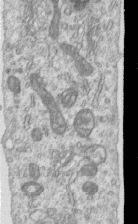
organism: Human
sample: Centriole in RPE cells